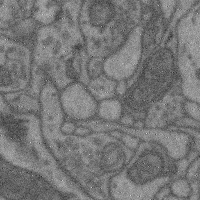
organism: Mouse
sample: Cerebral cortex